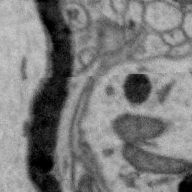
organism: Zebra finch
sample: Brain